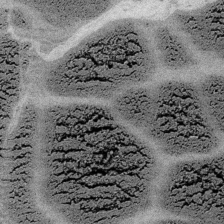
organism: Embia sp.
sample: Silk gland